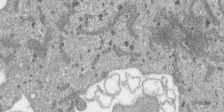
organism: Human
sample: Lung epithelial cells infected with SARS-CoV-2